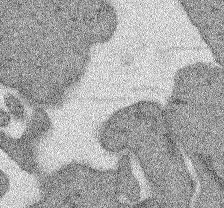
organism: Human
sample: HeLa cells